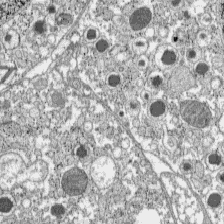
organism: C57BL Mouse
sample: Pancreatic islet